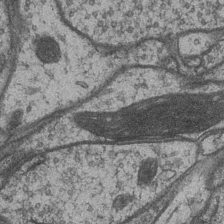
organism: Drosophila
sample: Optic medulla